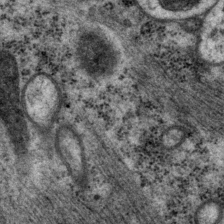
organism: P. pacificus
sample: Pharynx